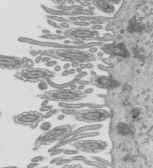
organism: Mouse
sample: Mouse epididymis efferent ductule cilia